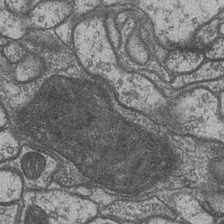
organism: Drosophila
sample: Optic medulla